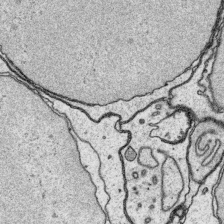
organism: Platynereis dumerilii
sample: Parapodia